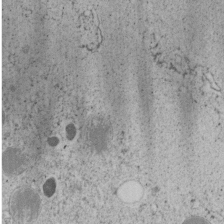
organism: C. elegans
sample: C. elegans embryo early stage